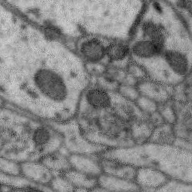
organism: Zebra finch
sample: Brain